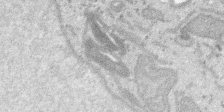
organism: Human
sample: Lung epithelial cells infected with SARS-CoV-2